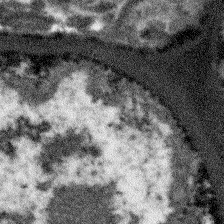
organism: Arabidopsis thaliana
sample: Root tip